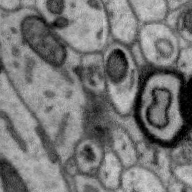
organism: Zebra finch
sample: Brain